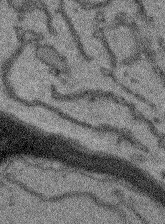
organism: Arabidopsis thaliana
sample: Root tip